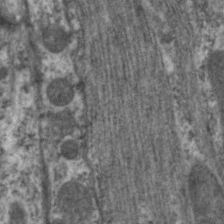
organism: C. elegans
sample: Pharynx